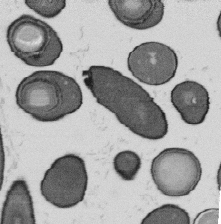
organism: B. subtilis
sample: Bacterial spore